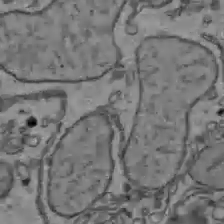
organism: C57BL Mouse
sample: Liver